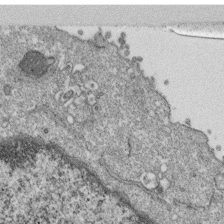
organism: African green monkey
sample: Vero E6 cells infected with SARS-CoV-2